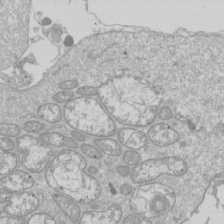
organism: Drosophila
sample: Cell division; meiosis; drosophila spermatocytes